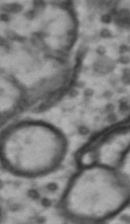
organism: Drosophila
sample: Brain